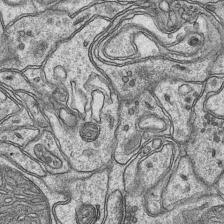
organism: Mouse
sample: CA1 Hippocampus